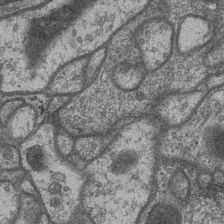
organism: Drosophila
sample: Optic medulla